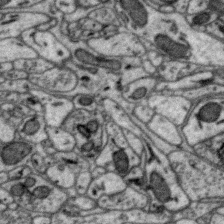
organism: Zebra finch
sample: Brain